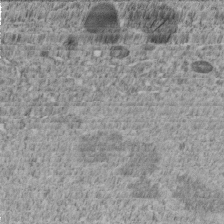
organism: C. elegans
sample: C. elegans embryo early stage